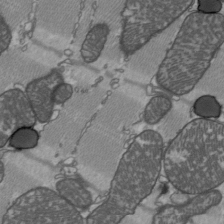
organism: C57BL Mouse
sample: Heart